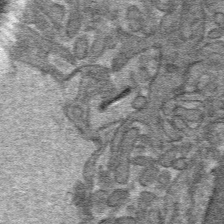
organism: Mouse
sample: Mouse hepatocytes